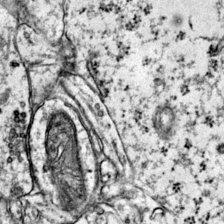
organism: Mouse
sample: Primary visual cortex